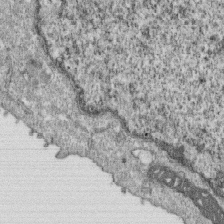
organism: African green monkey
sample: Vero E6 cells infected with SARS-CoV-2